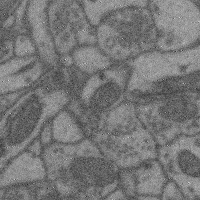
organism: Mouse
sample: Cerebral cortex